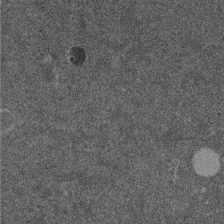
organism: Mouse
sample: Dividing mouse embryo 1 cell stage